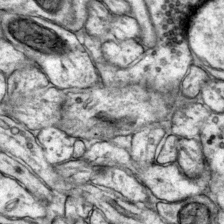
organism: Mouse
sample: Primary visual cortex